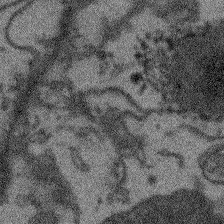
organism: Arabidopsis thaliana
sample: Root tip